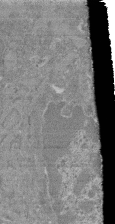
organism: Mouse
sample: Glomerulus